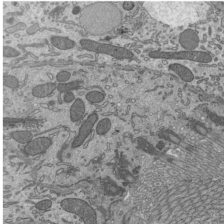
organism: Mouse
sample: Mouse epididymis efferent ductule cilia